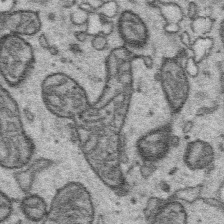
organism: Platynereis dumerilii